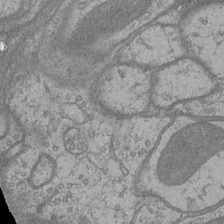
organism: Drosophila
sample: Optic medulla